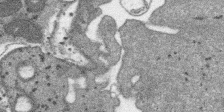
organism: Human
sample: Lung epithelial cells infected with SARS-CoV-2